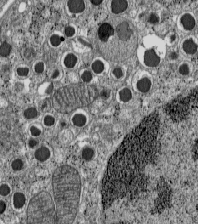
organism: C57BL Mouse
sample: Pancreatic islet